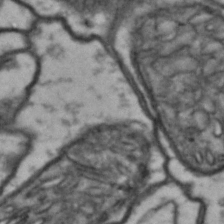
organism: Drosophila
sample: Brain